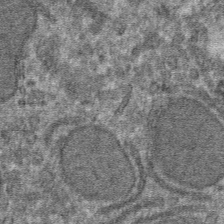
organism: Mouse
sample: Mouse hepatocytes